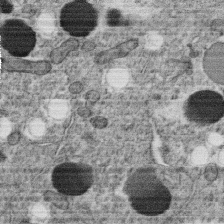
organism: C. elegans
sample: C. elegans oocyte; sperm cells